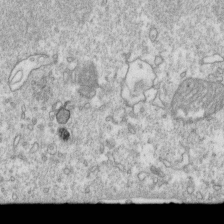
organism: Mouse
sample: Activated OT-1 CD8+ T cells